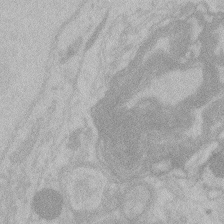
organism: Zebrafish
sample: Macrophage infected with Toxoplasma gondii